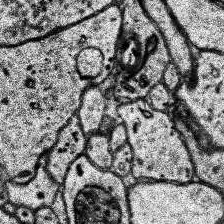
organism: Human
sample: Temporal Lobe